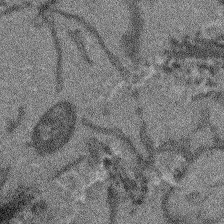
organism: Arabidopsis thaliana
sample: Root tip